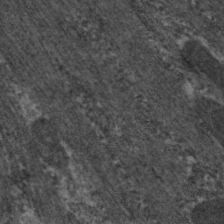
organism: C. elegans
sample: Pharynx